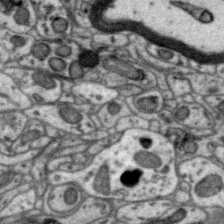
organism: Zebra finch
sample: Brain